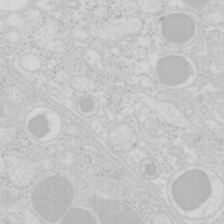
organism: Mouse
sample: Pancreas